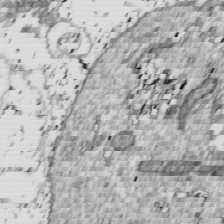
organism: Drosophila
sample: Cell division; meiosis; drosophila spermatocytes